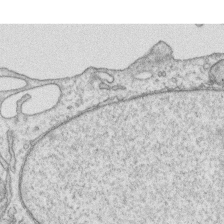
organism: Human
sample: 1205lu cells